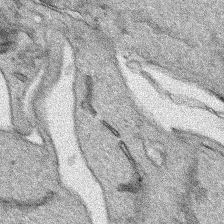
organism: Human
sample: Mitochondria in HCT116 cells